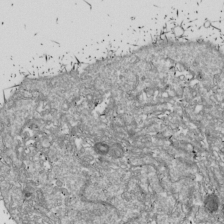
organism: Drosophila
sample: Cell division; meiosis; drosophila spermatocytes